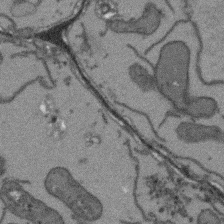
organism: Arabidopsis thaliana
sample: Root tip